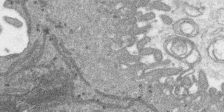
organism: Human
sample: Lung epithelial cells infected with SARS-CoV-2